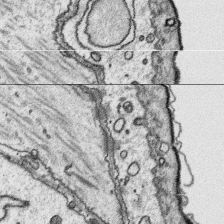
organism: Platynereis dumerilii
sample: Parapodia